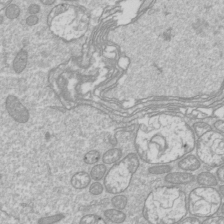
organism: Drosophila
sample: Cell division; meiosis; drosophila spermatocytes